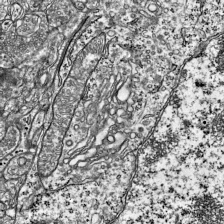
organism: Mouse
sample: Visual Cortex